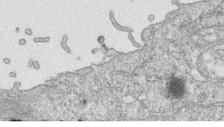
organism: Human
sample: HeLa cell HIV synapse